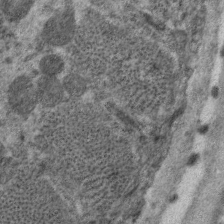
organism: C. elegans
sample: Pharynx